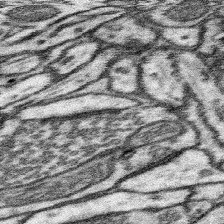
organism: Mouse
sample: Somatosensory cortex neuropil